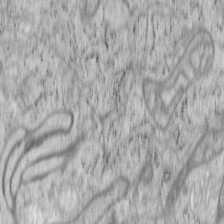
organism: Human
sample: HeLa cells